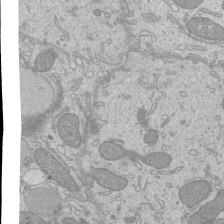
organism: Mouse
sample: Cilia; mouse epididymis